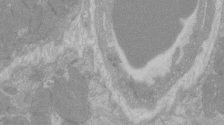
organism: C57BL Mouse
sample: Tibialis anterior muscle cell